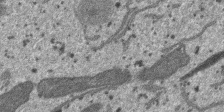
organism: Human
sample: Lung epithelial cells infected with SARS-CoV-2